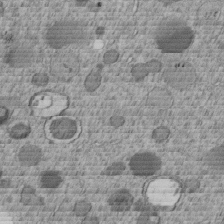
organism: C. elegans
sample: C. elegans embryo early stage